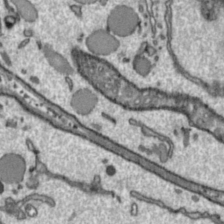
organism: Toxoplasma gondii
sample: Parasites in a vacuole inside a host cell